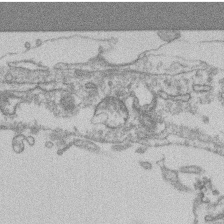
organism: Mouse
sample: T cell stromal cell synapse